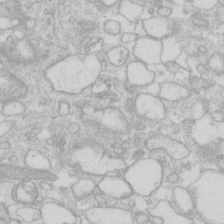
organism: Human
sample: Fibroblast cells